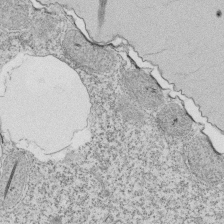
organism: Tetrahymena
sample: Cilia in tetrahymena